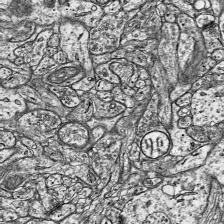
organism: Mouse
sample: Visual Cortex